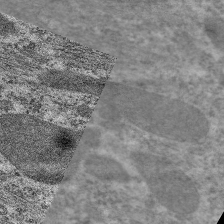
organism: C. elegans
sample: Pharynx